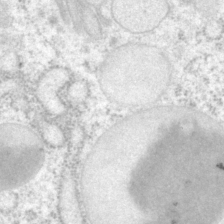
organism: P. pacificus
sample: Pharynx